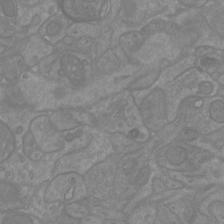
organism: Mouse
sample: Cortical neurons